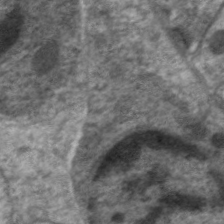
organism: C. elegans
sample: Pharynx